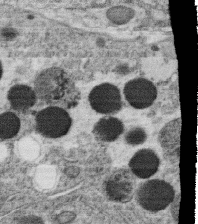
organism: C. elegans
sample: C. elegans oocyte; sperm cells